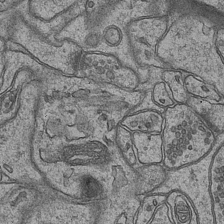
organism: Mouse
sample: CA1 Hippocampus